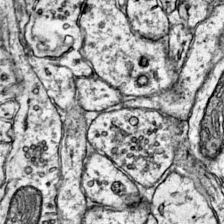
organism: Mouse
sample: Primary visual cortex